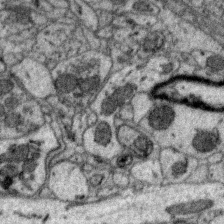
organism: Zebra finch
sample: Brain